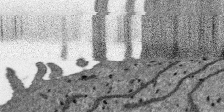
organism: Human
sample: Lung epithelial cells, uninfected (mock) control